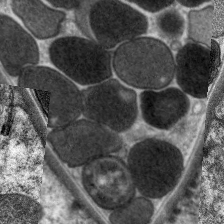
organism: C. elegans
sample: Pharynx